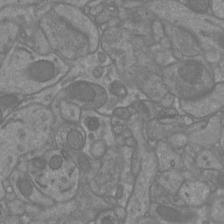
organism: Mouse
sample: Cortical neurons